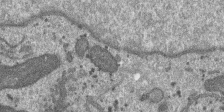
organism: Human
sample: Lung epithelial cells infected with SARS-CoV-2